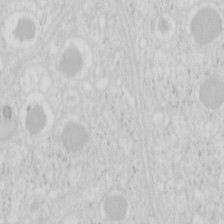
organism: Mouse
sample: Pancreas